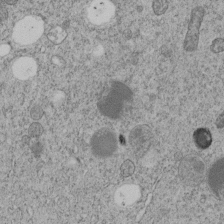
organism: C. elegans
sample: C. elegans embryo early stage